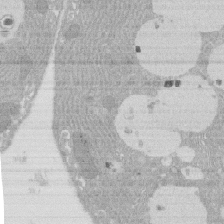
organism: Rat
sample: Salivary granule